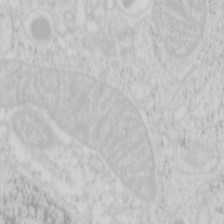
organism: Mouse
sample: Pancreas